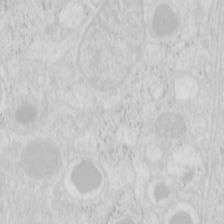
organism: Mouse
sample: Pancreas